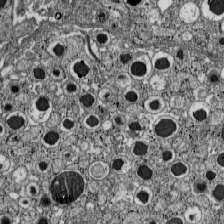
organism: C57BL Mouse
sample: Pancreatic islet